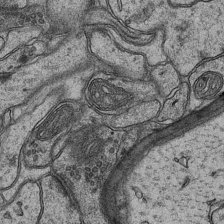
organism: Mouse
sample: CA1 Hippocampus